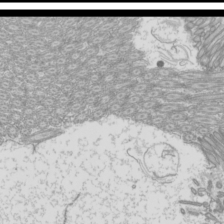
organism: Mouse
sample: Cilia; mouse epididymis